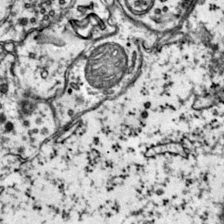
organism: Mouse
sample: Primary visual cortex